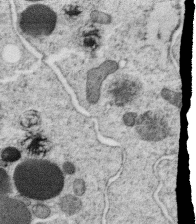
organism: C. elegans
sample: C. elegans oocyte; sperm cells